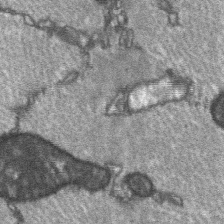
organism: C57BL Mouse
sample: Soleus